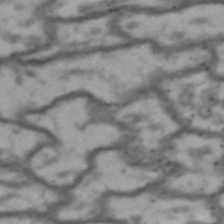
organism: Drosophila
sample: Brain